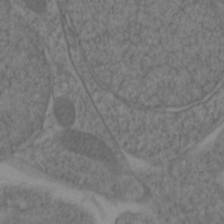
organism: Zebrafish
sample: Zebrafish embryo